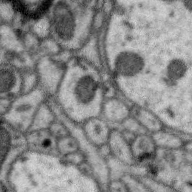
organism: Zebra finch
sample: Brain